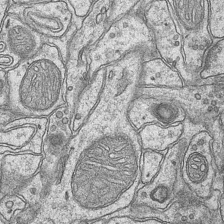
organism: Mouse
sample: CA1 Hippocampus